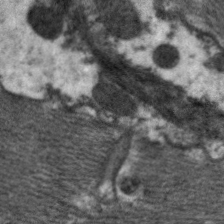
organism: C. elegans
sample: Pharynx